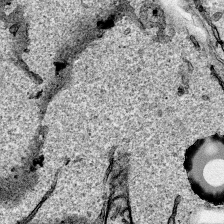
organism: Human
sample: Mitochondria in HCT116 cells